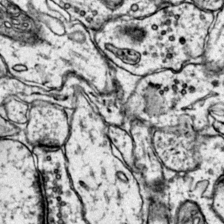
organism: Mouse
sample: Primary visual cortex